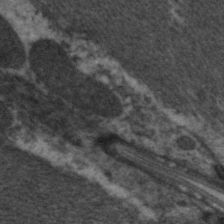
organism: C. elegans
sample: Pharynx